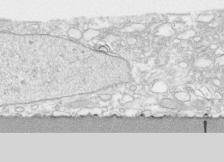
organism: Human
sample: CRL-1474